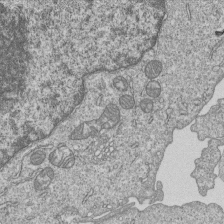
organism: Human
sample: MDA-MB-231 cells